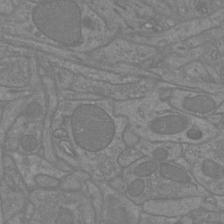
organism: Mouse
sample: Cortical neurons